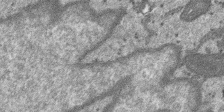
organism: Human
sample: Lung epithelial cells infected with SARS-CoV-2